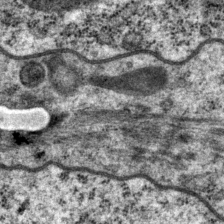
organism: P. pacificus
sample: Pharynx